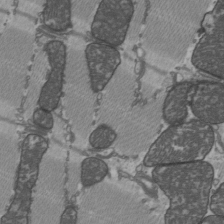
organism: C57BL Mouse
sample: Heart